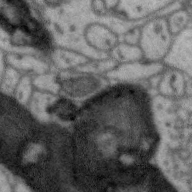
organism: Zebra finch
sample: Brain